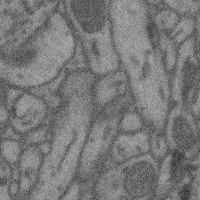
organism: Mouse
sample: Cerebral cortex